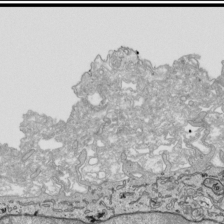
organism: Human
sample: Mitochondria in HCT116 cells